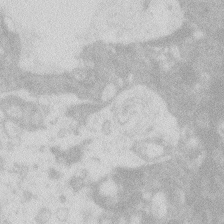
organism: Zebrafish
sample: Macrophage